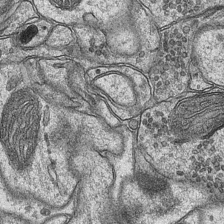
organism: Mouse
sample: CA1 Hippocampus